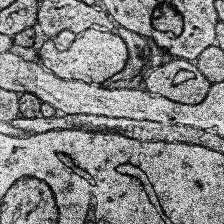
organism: Human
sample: Temporal Lobe